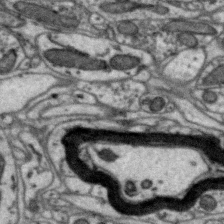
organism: Zebra finch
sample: Brain